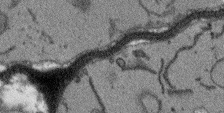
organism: Arabidopsis thaliana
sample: Root tip